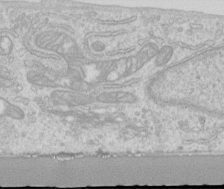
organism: Human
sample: Centriole in RPE cells